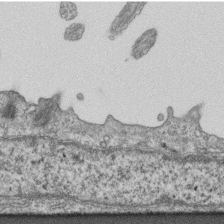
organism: Mouse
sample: Centriole in ependymal cells